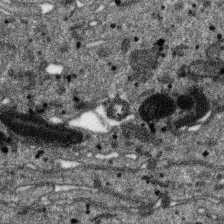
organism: Human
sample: Lung epithelial cells infected with SARS-CoV-2